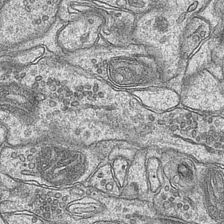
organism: Mouse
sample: CA1 Hippocampus